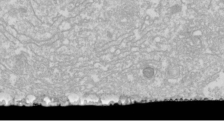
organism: Drosophila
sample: Cell division; meiosis; drosophila spermatocytes